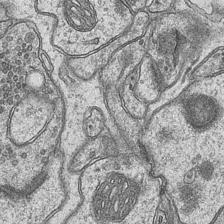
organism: Mouse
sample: CA1 Hippocampus